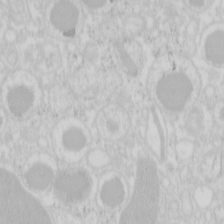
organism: Mouse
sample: Pancreas